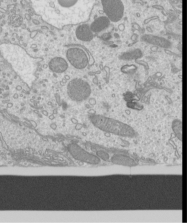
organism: Mouse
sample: Cilia; mouse epididymis